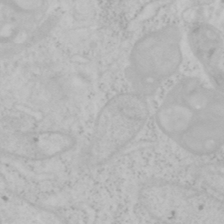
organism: Mouse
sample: OT-I killer T cells with ID8 ovarian cancer cells